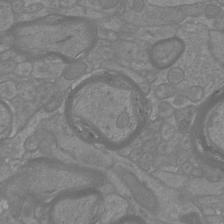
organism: Mouse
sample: Cortical neurons